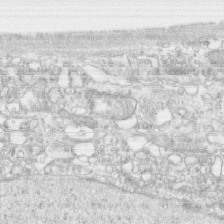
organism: Human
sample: CRL-1474